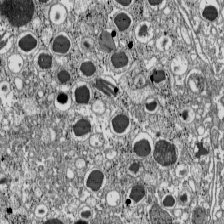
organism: C57BL Mouse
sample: Pancreatic islet